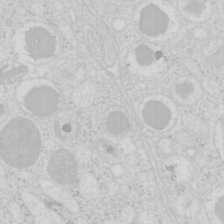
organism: Mouse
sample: Pancreas